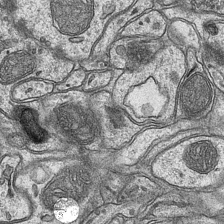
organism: Mouse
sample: CA1 Hippocampus